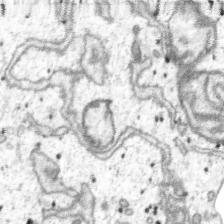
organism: Human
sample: HeLa cells